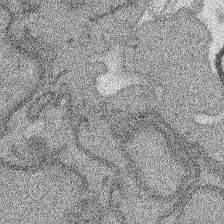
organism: Human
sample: HeLa cells